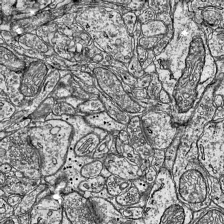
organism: Mouse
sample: Visual Cortex